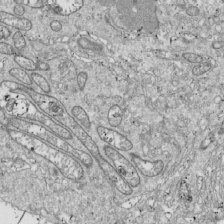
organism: Drosophila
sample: Cell division; meiosis; drosophila spermatocytes